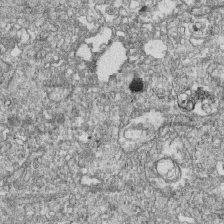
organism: Human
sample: HeLa cell HIV synapse